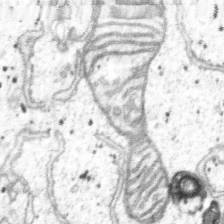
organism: Human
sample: HeLa cells